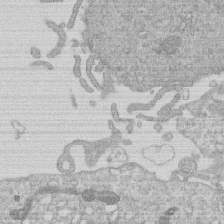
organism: Human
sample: Macrophage cells